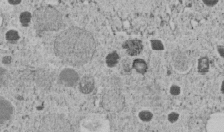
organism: C. elegans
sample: C. elegans embryo early stage